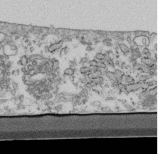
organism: Mouse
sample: Cilia; retinal pigment epithelium